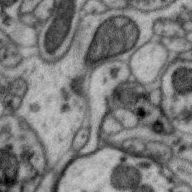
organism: Zebra finch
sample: Brain